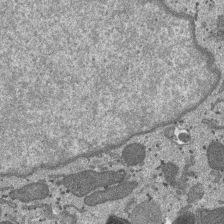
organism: Human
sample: Lung epithelial cells infected with SARS-CoV-2